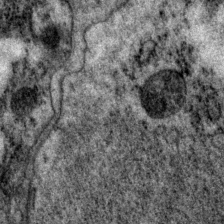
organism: P. pacificus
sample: Pharynx